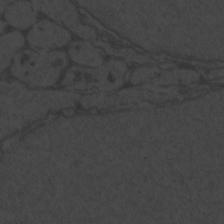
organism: Zebrafish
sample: Macrophage infected with Toxoplasma gondii